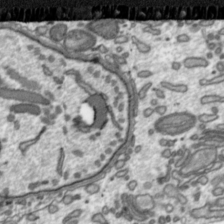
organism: Toxoplasma gondii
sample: Parasites in a vacuole inside a host cell